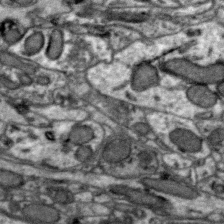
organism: Zebra finch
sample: Brain